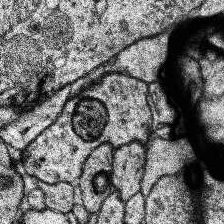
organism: Human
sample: Temporal Lobe